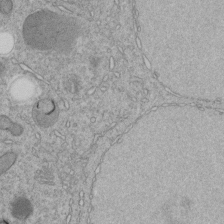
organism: C. elegans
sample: C. elegans embryo early stage